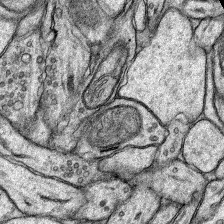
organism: Rat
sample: Hippocampus